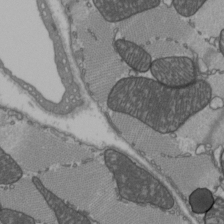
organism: C57BL Mouse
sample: Heart